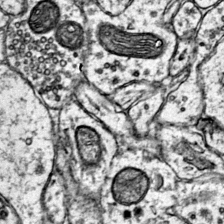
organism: Mouse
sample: Primary visual cortex